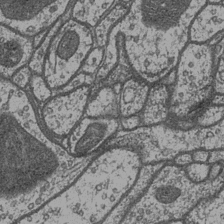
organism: Drosophila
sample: Optic medulla